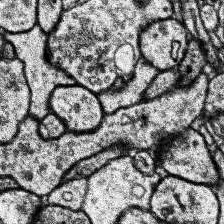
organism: Human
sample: Temporal Lobe